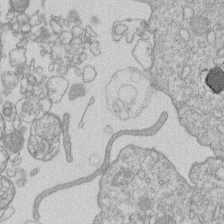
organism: Human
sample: Macrophage cells